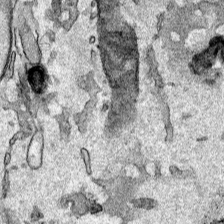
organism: Human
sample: Mitochondria in HCT116 cells